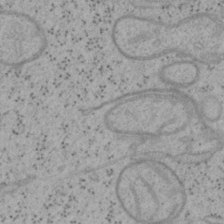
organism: Human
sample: HeLa cells